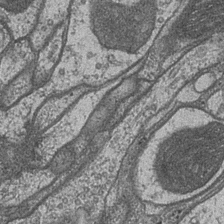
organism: Drosophila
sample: Optic medulla